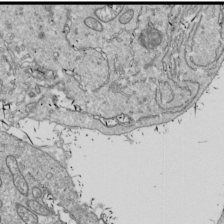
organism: Drosophila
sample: Cell division; meiosis; drosophila spermatocytes